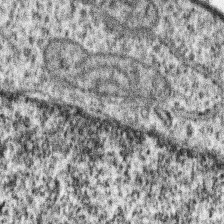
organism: Human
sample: HeLa cells